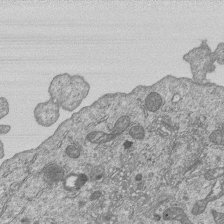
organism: Human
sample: MDA-MB-231 cells